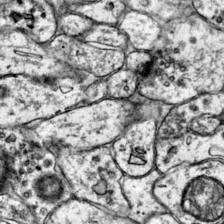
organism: Mouse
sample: Primary visual cortex